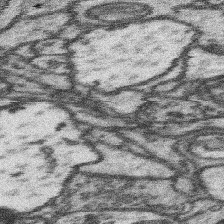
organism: Mouse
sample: Somatosensory cortex neuropil